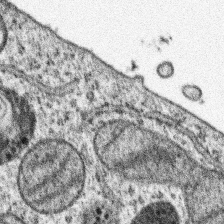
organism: Human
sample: HeLa cells